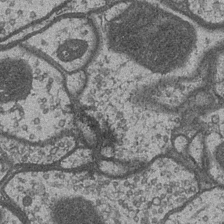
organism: Drosophila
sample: Optic medulla